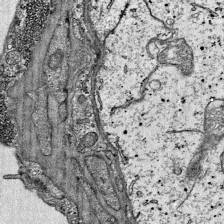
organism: Mouse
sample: Visual Cortex